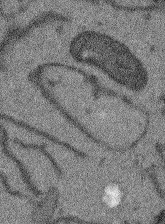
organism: Arabidopsis thaliana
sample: Root tip